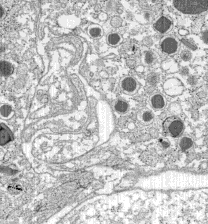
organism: C57BL Mouse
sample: Pancreatic islet